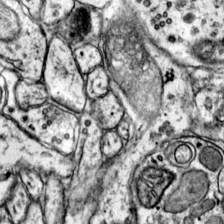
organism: Mouse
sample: Primary visual cortex